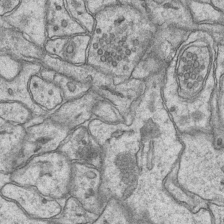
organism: Mouse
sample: CA1 Hippocampus